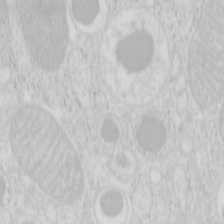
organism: Mouse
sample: Pancreas